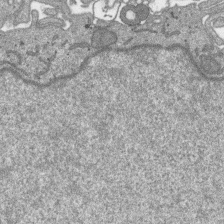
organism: Human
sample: Lung epithelial cells infected with SARS-CoV-2